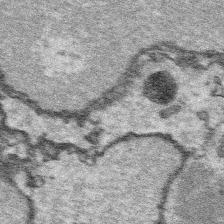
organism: Platynereis dumerilii